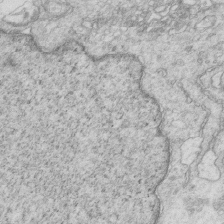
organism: Mouse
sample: Multiciliated cells